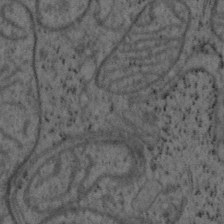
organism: Human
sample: HeLa cells